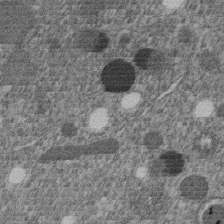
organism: C. elegans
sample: C. elegans embryo early stage